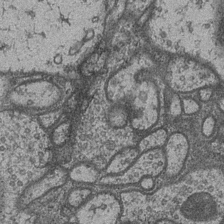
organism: Drosophila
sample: Optic medulla